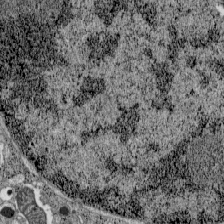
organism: C57BL Mouse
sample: Pancreatic islet